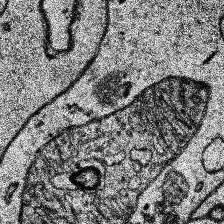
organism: Human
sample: Temporal Lobe